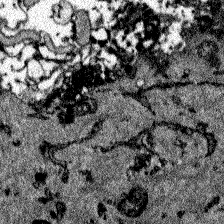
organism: Zebrafish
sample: Larval olfactory bulb